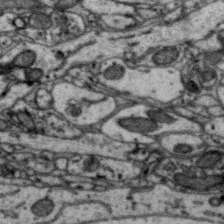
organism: Zebra finch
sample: Brain